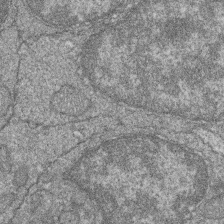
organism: Zebrafish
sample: Cilia; retinal pigment epithelium